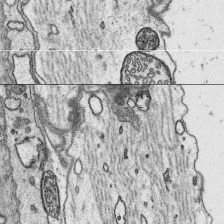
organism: Platynereis dumerilii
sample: Parapodia